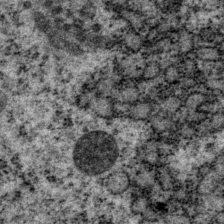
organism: P. pacificus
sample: Pharynx